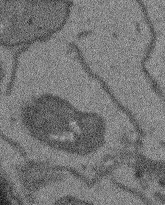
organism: Arabidopsis thaliana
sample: Root tip